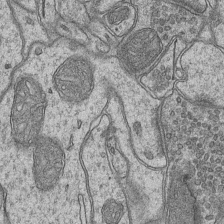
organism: Mouse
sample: CA1 Hippocampus